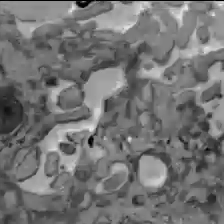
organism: C57BL Mouse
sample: Liver